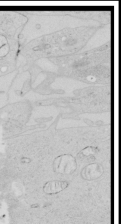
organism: Human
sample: Mitochondria in HCT116 cells